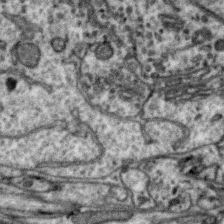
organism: Zebra finch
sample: Brain